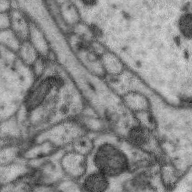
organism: Zebra finch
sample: Brain